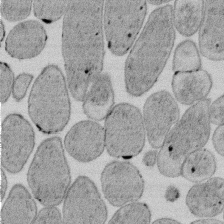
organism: E. coli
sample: Bacterial nucleoid